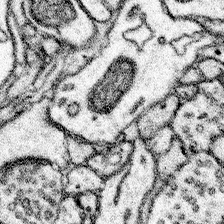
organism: Mouse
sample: Somatosensory cortex neuropil